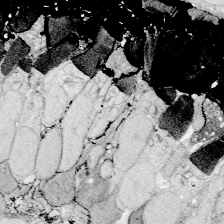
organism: Zebrafish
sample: Whole-Brain